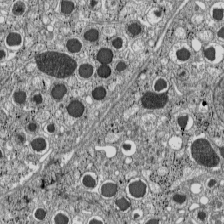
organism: C57BL Mouse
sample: Pancreatic islet